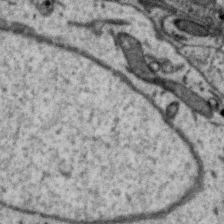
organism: Zebra finch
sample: Brain